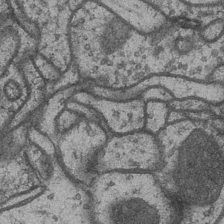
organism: Drosophila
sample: Optic medulla